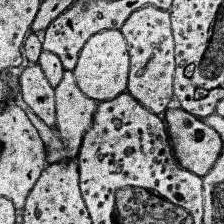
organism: Human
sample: Temporal Lobe